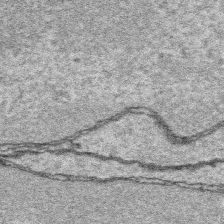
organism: Platynereis dumerilii